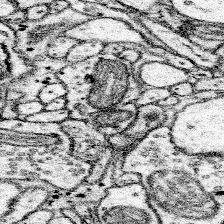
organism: Mouse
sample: Somatosensory cortex neuropil